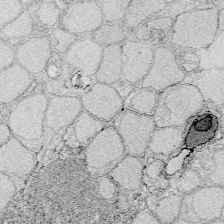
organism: Zebrafish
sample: Whole-Brain